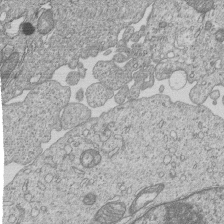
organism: Human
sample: MDA-MB-231 cells